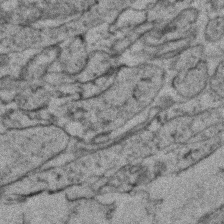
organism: Zebrafish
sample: Zebrafish embryo